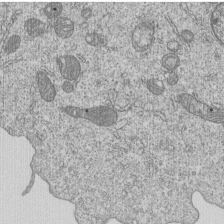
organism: Human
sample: MDA-MB-231 cells